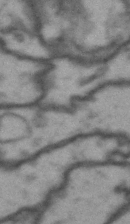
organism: Drosophila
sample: Brain